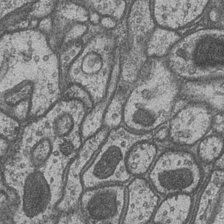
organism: Drosophila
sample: Optic medulla